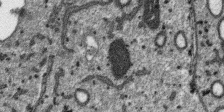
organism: Human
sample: Lung epithelial cells infected with SARS-CoV-2